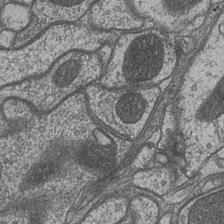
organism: Drosophila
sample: Optic medulla